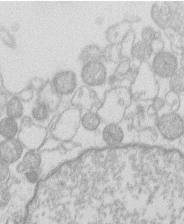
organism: Human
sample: Macrophage cells